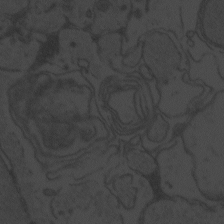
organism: Zebrafish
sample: Macrophage infected with Toxoplasma gondii